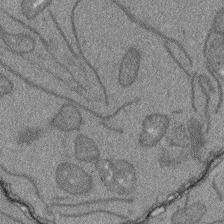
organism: Arabidopsis thaliana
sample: Root tip